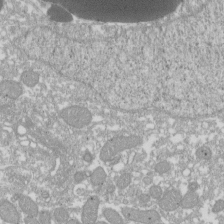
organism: Xenopus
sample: Cilia; centrioles in frog embryo cells